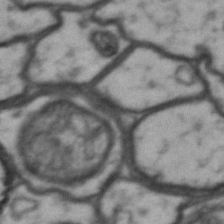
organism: Drosophila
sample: Brain